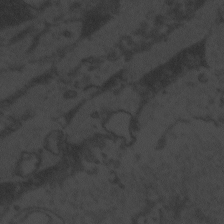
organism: Zebrafish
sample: Macrophage infected with Toxoplasma gondii